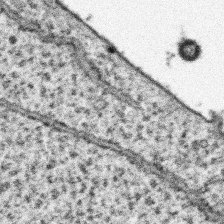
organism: Human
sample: HeLa cells